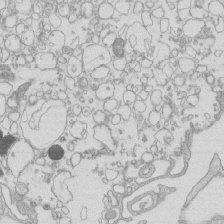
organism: Mouse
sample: Macrophages